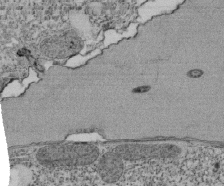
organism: Tetrahymena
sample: Cilia in tetrahymena